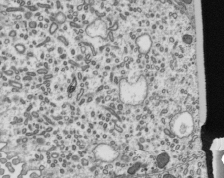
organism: Mouse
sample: Mouse epididymis efferent ductule cilia